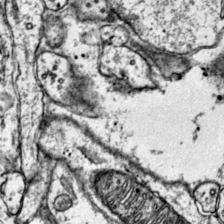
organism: Mouse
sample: Primary visual cortex